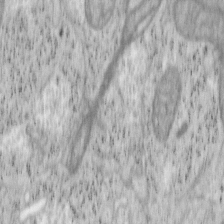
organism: Human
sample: HeLa cells